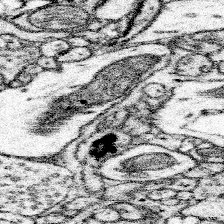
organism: Mouse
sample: Somatosensory cortex neuropil